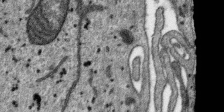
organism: Human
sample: Lung epithelial cells, uninfected (mock) control